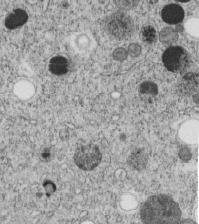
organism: C. elegans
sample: C. elegans embryo early stage